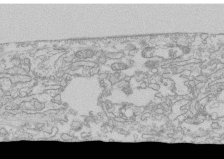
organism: Human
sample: CRL-1474